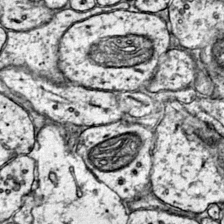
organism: Mouse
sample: Primary visual cortex